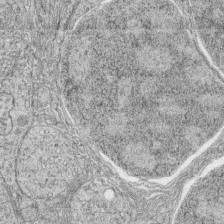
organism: Zebrafish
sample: synaptic ribbons in rod cells and cone cells